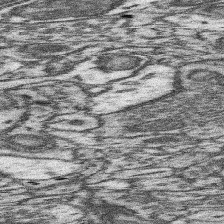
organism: Mouse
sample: Somatosensory cortex neuropil